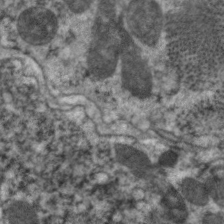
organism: C. elegans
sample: Pharynx